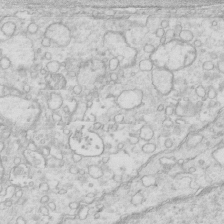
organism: Mouse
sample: Multiciliated cells